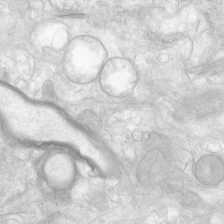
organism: Human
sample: Neocortex